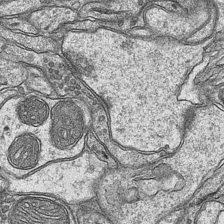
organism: Mouse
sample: CA1 Hippocampus